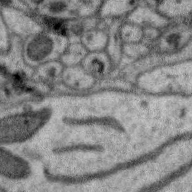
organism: Zebra finch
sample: Brain